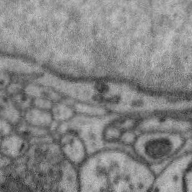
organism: Zebra finch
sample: Brain